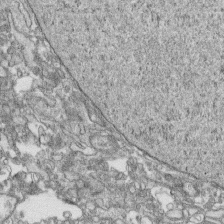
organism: Human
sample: CRL-1474